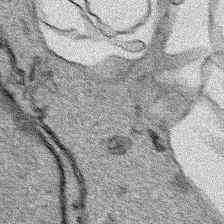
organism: Human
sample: Mitochondria in HCT116 cells